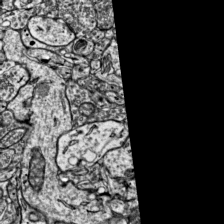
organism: Mouse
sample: Visual Cortex